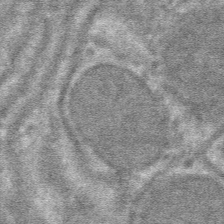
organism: Mouse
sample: Mouse hepatocytes